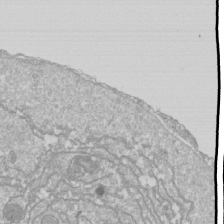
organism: Drosophila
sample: Cell division; meiosis; drosophila spermatocytes